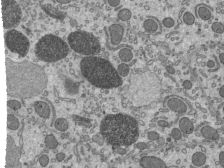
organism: Mouse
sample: Mouse epididymis efferent ductule cilia